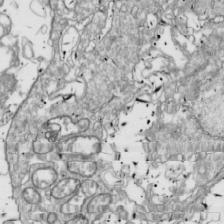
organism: Drosophila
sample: Cell division; meiosis; drosophila spermatocytes